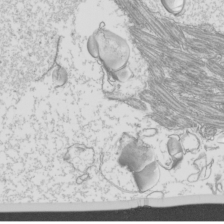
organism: Mouse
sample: Cilia; mouse epididymis